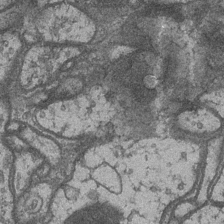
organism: Drosophila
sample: Optic medulla